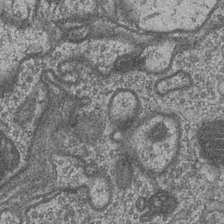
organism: Drosophila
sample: Optic medulla